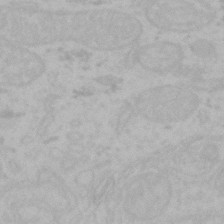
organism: Mouse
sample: Choroid plexus